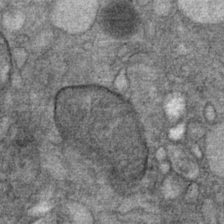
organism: Mouse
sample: Mouse Salivary gland